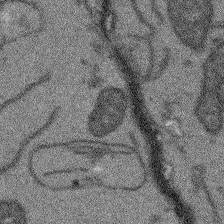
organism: Arabidopsis thaliana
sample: Root tip